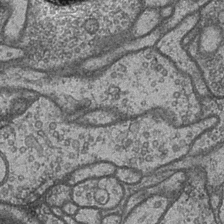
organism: Drosophila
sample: Optic medulla